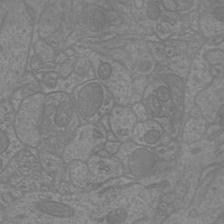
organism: Mouse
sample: Cortical neurons